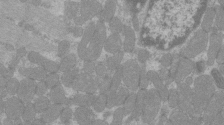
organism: C57BL Mouse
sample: Tibialis anterior muscle cell